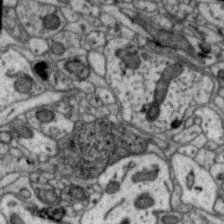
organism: Zebra finch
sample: Brain